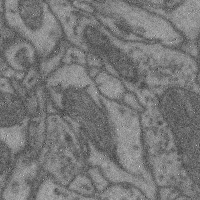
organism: Mouse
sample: Cerebral cortex